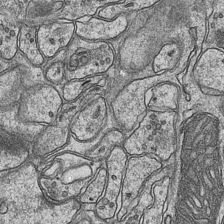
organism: Mouse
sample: CA1 Hippocampus